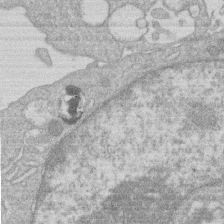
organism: Human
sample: Macrophage cells